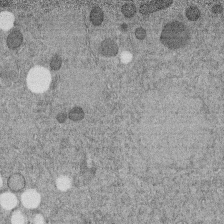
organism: C. elegans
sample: C. elegans embryo early stage